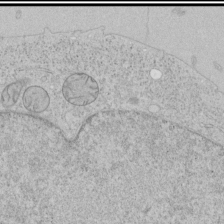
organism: Human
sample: Mitochondria in HCT116 cells